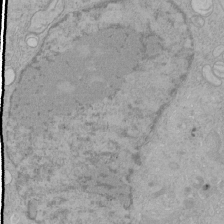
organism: Human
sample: Mitochondria in HCT116 cells